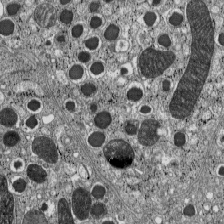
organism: C57BL Mouse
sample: Pancreatic islet